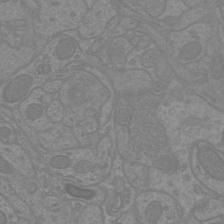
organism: Mouse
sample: Cortical neurons